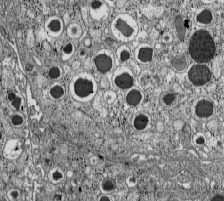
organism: C57BL Mouse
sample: Pancreatic islet